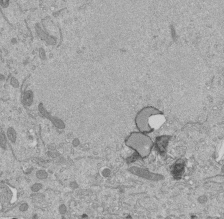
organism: Mouse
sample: ED-1 cell nuclei; centrioles